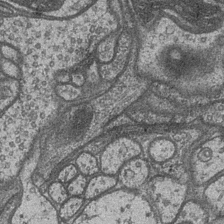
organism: Drosophila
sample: Optic medulla